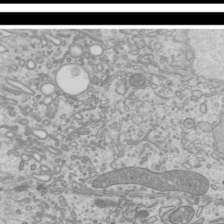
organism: Mouse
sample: Cilia; mouse epididymis